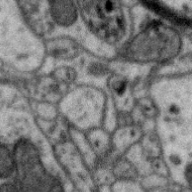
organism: Zebra finch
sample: Brain